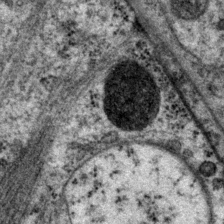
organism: P. pacificus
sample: Pharynx